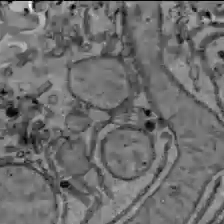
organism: C57BL Mouse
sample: Liver